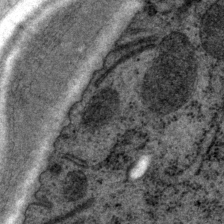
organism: P. pacificus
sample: Pharynx